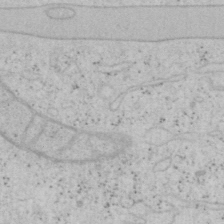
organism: Human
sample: HeLa cells